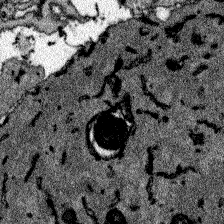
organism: Zebrafish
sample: Larval olfactory bulb